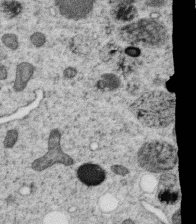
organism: C. elegans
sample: C. elegans oocyte; sperm cells